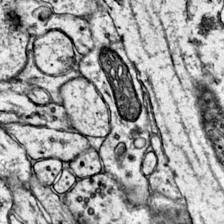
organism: Mouse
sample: Primary visual cortex